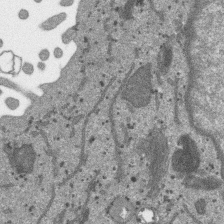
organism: Human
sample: Lung epithelial cells infected with SARS-CoV-2